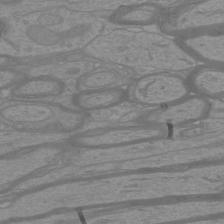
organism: Mouse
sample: Cortical neurons